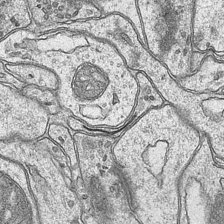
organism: Mouse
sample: CA1 Hippocampus